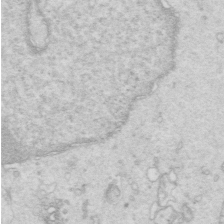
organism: Mouse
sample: Multiciliated cells